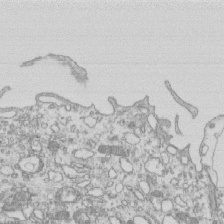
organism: Mouse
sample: Macrophages